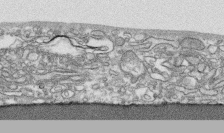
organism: Human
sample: CRL-1474